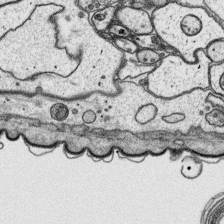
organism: Platynereis dumerilii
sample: Parapodia